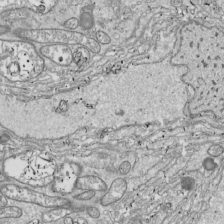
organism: Drosophila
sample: Cell division; meiosis; drosophila spermatocytes